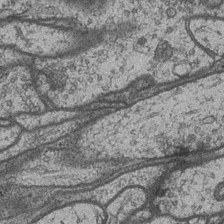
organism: Drosophila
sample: Optic medulla